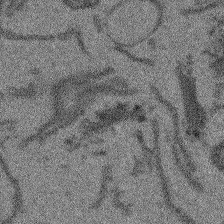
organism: Arabidopsis thaliana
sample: Root tip